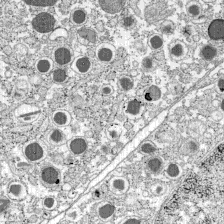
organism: C57BL Mouse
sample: Pancreatic islet